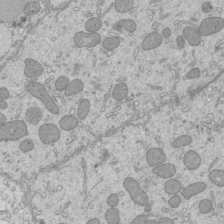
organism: Mouse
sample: Cilia; mouse epididymis